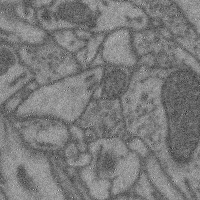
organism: Mouse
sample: Cerebral cortex